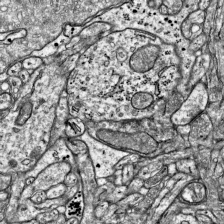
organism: Mouse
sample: Visual Cortex